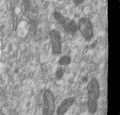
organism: Human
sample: Centriole in RPE cells